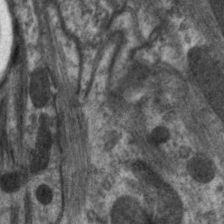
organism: C. elegans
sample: Pharynx